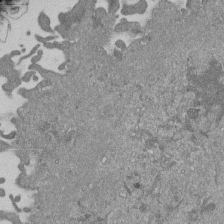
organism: Mouse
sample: ED-1 cell nuclei; centrioles